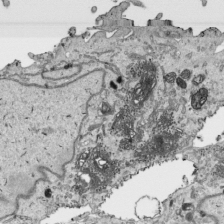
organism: Human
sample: Mitochondria in HCT116 cells